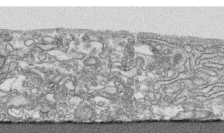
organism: Human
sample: CRL-1474